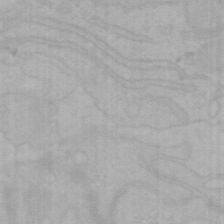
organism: Mouse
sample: Choroid plexus